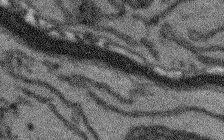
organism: Arabidopsis thaliana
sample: Root tip